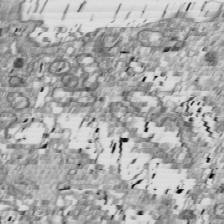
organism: Drosophila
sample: Cell division; meiosis; drosophila spermatocytes